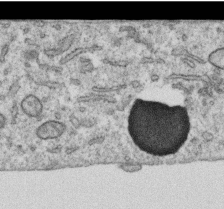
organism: Human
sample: Centriole in RPE cells